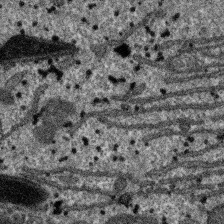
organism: Human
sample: Lung epithelial cells infected with SARS-CoV-2